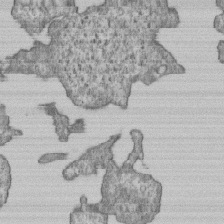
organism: Human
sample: MDA-MB-231 cells